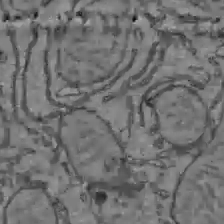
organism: C57BL Mouse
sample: Liver